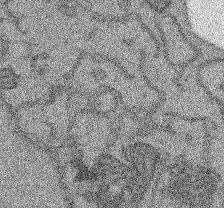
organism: Human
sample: HeLa cells